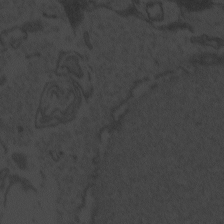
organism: Zebrafish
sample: Macrophage infected with Toxoplasma gondii